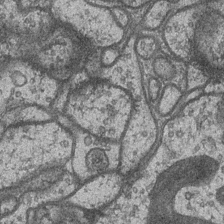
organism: Drosophila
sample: Optic medulla